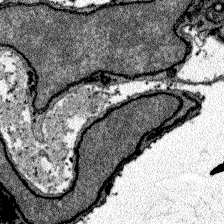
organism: Zebrafish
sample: Larval olfactory bulb